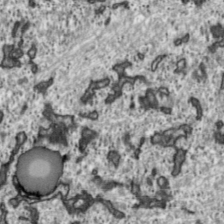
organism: Toxoplasma gondii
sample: Parasites in a vacuole inside a host cell